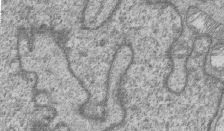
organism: Human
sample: MDA-MB-231 cells